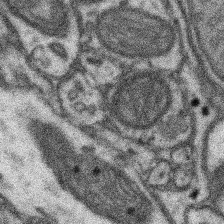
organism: Mouse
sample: Somatosensory cortex neuropil